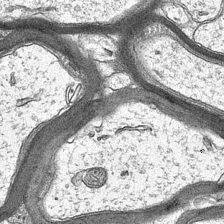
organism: Mouse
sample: CA1 Hippocampus